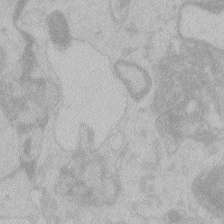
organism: Zebrafish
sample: Macrophage infected with Toxoplasma gondii